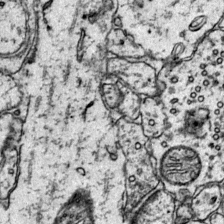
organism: Mouse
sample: Primary visual cortex